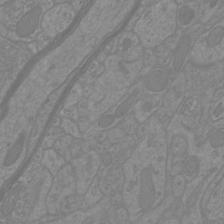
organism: Mouse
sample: Cortical neurons